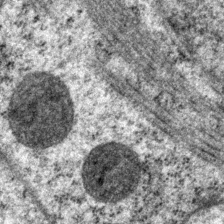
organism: P. pacificus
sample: Pharynx